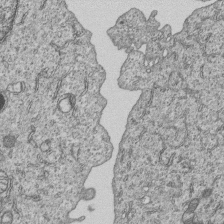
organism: Human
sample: MDA-MB-231 cells